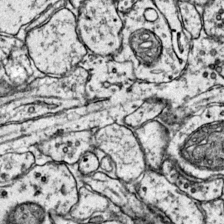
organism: Mouse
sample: Primary visual cortex